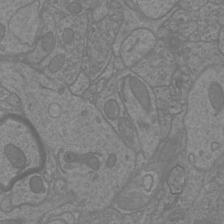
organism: Mouse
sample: Cortical neurons